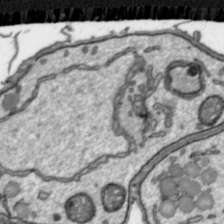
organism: Toxoplasma gondii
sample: Parasites in a vacuole inside a host cell